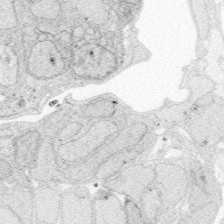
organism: Zebrafish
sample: Whole-Brain